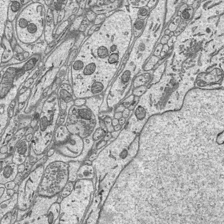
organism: Mouse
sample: Suprachiasmatic nucleus